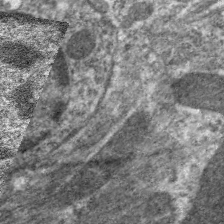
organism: C. elegans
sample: Pharynx